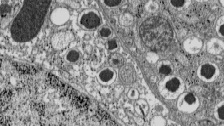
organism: C57BL Mouse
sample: Pancreatic islet